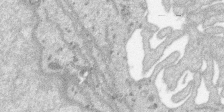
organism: Human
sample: Lung epithelial cells infected with SARS-CoV-2